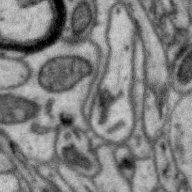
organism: Zebra finch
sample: Brain